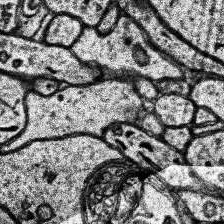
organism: Human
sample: Temporal Lobe